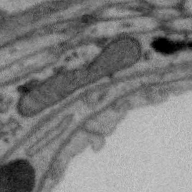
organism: Zebra finch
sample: Brain